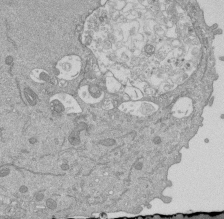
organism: Mouse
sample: ED-1 cell nuclei; centrioles